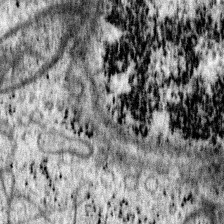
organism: Human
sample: HeLa cells